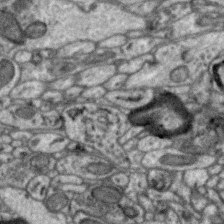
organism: Zebra finch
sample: Brain